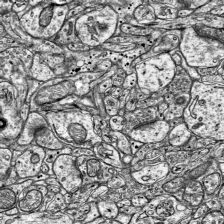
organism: Mouse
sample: Visual Cortex